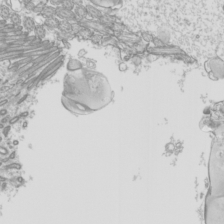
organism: Mouse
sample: Cilia; mouse epididymis